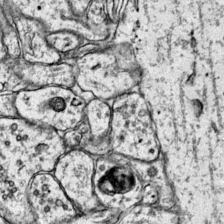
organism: Mouse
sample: Primary visual cortex